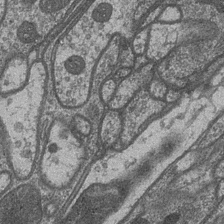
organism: Drosophila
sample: Optic medulla